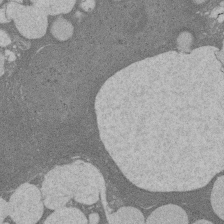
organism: Rat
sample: Salivary granule